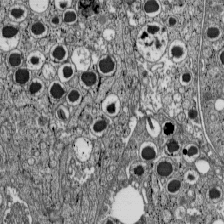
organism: C57BL Mouse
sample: Pancreatic islet